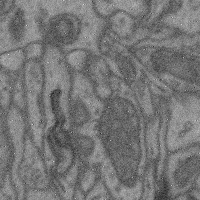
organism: Mouse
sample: Cerebral cortex